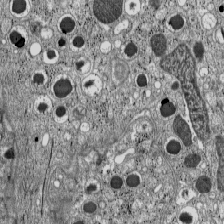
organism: C57BL Mouse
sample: Pancreatic islet